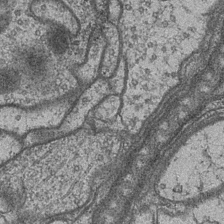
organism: Drosophila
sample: Optic medulla